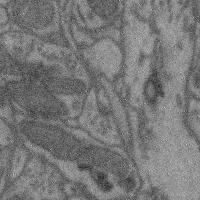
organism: Mouse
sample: Cerebral cortex